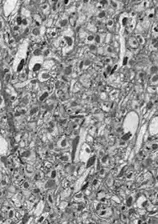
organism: Drosophila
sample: Optic lobe